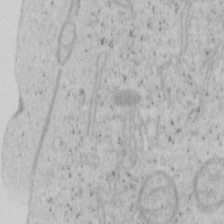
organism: Human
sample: HeLa cells